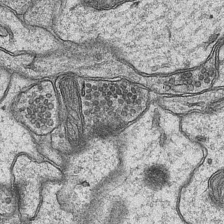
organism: Mouse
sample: CA1 Hippocampus